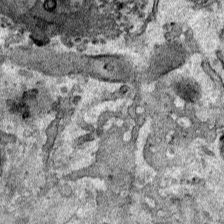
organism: Human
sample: Mitochondria in HCT116 cells